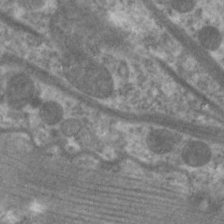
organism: C. elegans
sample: Pharynx